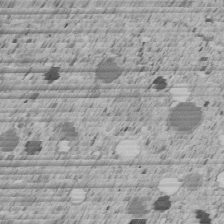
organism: C. elegans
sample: C. elegans embryo early stage